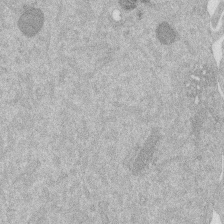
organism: Mouse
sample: Dividing mouse embryo 1 cell stage